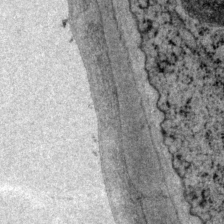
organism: P. pacificus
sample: Pharynx